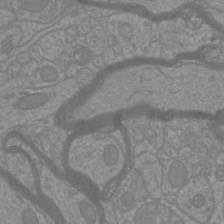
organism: Mouse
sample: Cortical neurons